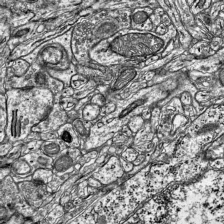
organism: Mouse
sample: Visual Cortex